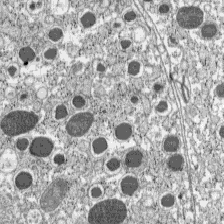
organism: C57BL Mouse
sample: Pancreatic islet